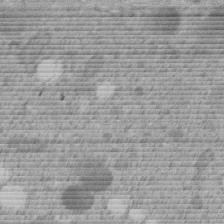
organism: C. elegans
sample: C. elegans embryo early stage